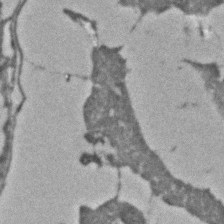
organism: C. elegans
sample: C. elegans embryo